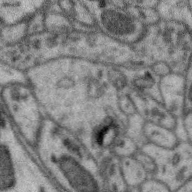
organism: Zebra finch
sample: Brain